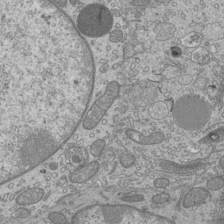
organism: Mouse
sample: Cilia; mouse epididymis